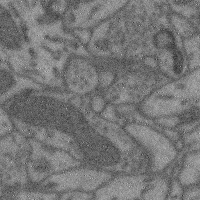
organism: Mouse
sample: Cerebral cortex